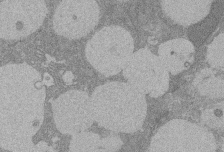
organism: Rat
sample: Salivary granule